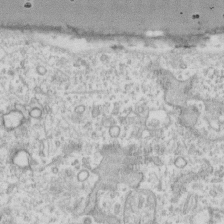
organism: Human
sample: Fibroblast cells